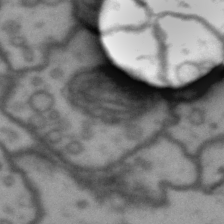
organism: Drosophila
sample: Brain